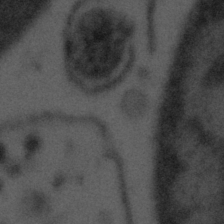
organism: Tuwongella immobilis